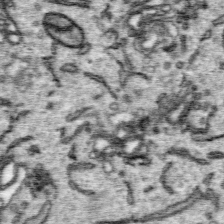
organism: Human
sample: HeLa cells